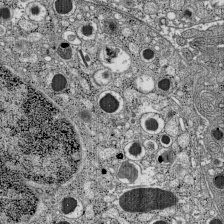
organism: C57BL Mouse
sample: Pancreatic islet